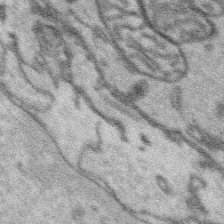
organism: Platynereis dumerilii